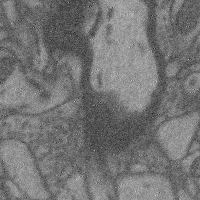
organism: Mouse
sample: Cerebral cortex